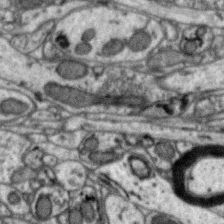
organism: Zebra finch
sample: Brain